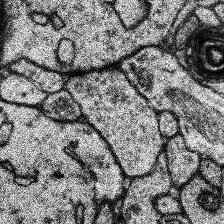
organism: Human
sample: Temporal Lobe